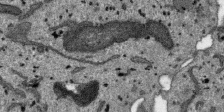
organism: Human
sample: Lung epithelial cells, uninfected (mock) control